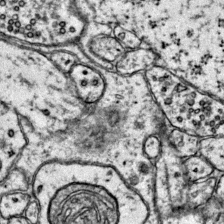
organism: Mouse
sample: Primary visual cortex